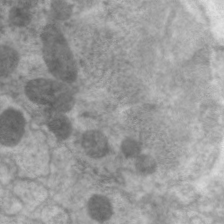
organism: C. elegans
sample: Pharynx